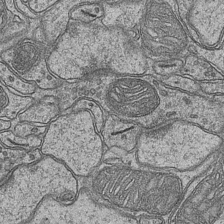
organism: Mouse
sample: CA1 Hippocampus